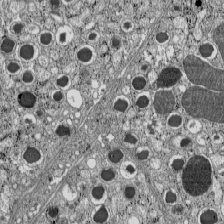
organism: C57BL Mouse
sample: Pancreatic islet